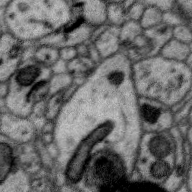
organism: Zebra finch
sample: Brain